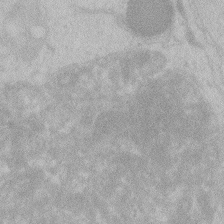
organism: Zebrafish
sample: Macrophage infected with Toxoplasma gondii